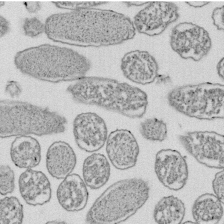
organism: E. coli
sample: Bacterial nucleoid